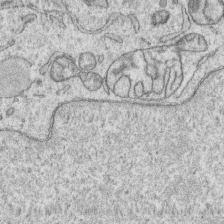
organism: Human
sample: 1205lu cells